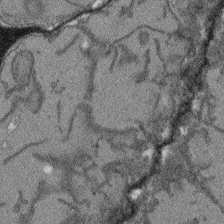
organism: Arabidopsis thaliana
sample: Root tip